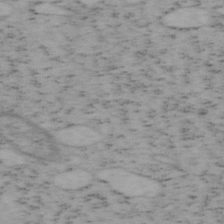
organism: Mouse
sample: OT-I killer T cells with ID8 ovarian cancer cells